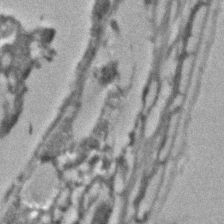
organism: C. elegans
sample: C. elegans embryo